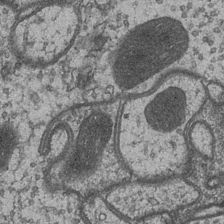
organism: Drosophila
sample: Optic medulla